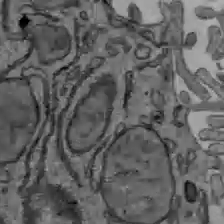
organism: C57BL Mouse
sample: Liver